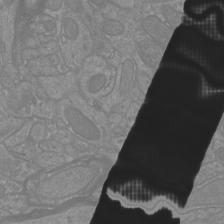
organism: Mouse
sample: Cortical neurons